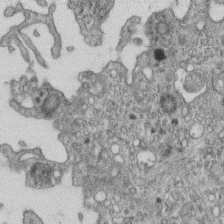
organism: Mouse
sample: Centriole in ependymal cells